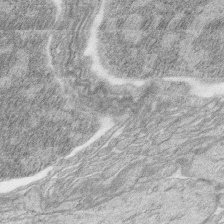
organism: Zebrafish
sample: synaptic ribbons in rod cells and cone cells